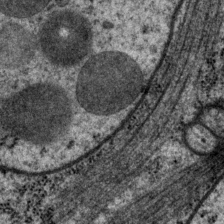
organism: P. pacificus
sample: Pharynx